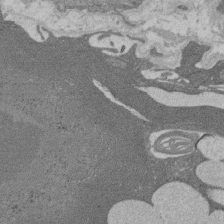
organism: Rat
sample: Salivary granule